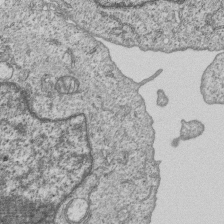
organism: Human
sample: MDA-MB-231 cells